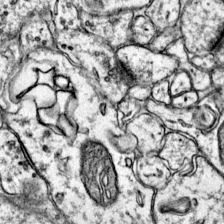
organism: Mouse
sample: Primary visual cortex